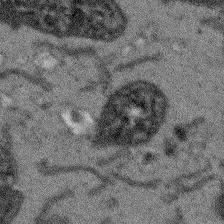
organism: Arabidopsis thaliana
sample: Root tip